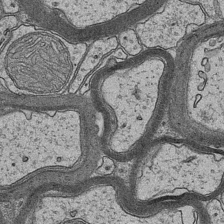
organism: Mouse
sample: CA1 Hippocampus